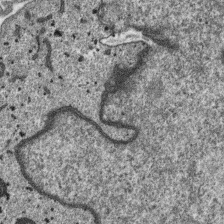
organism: Human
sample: Lung epithelial cells infected with SARS-CoV-2